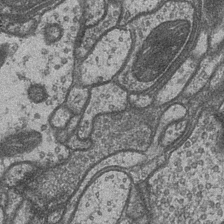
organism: Drosophila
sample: Optic medulla